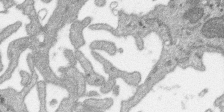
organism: Human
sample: Lung epithelial cells infected with SARS-CoV-2